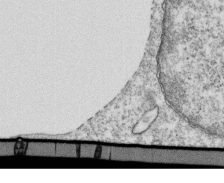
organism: Mouse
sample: Activated OT-1 CD8+ T cells